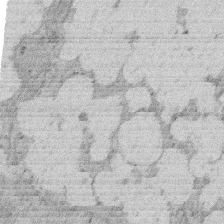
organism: Rat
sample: Salivary granule